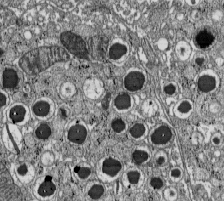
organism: C57BL Mouse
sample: Pancreatic islet